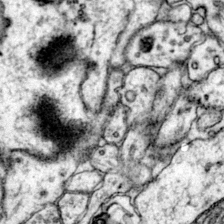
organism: Mouse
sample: Primary visual cortex